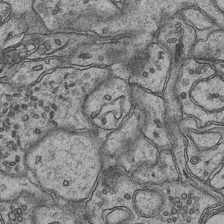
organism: Mouse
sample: CA1 Hippocampus